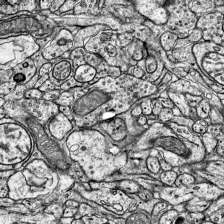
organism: Mouse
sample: Visual Cortex